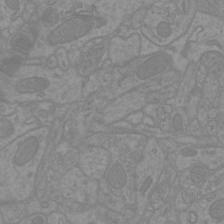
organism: Mouse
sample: Cortical neurons